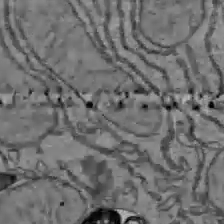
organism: C57BL Mouse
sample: Liver